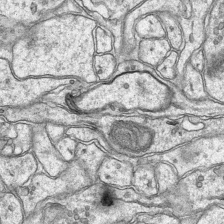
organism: Mouse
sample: CA1 Hippocampus